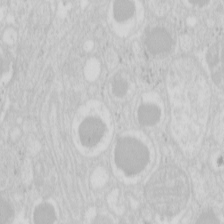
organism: Mouse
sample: Pancreas